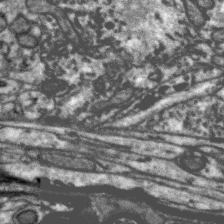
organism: Zebra finch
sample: Brain